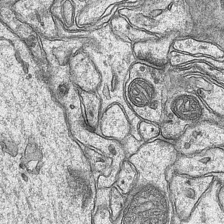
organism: Mouse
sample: CA1 Hippocampus